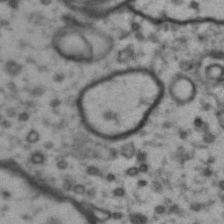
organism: Drosophila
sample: Brain